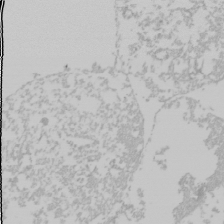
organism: Mouse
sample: Cancer cell death in ED-1 cells